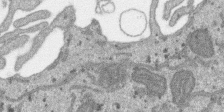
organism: Human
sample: Lung epithelial cells infected with SARS-CoV-2